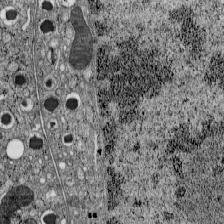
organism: C57BL Mouse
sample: Pancreatic islet